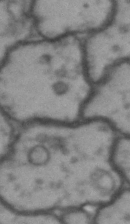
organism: Drosophila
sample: Brain